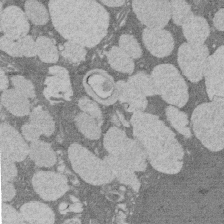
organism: Rat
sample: Salivary granule